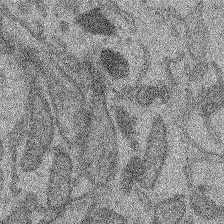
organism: Human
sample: HeLa cells